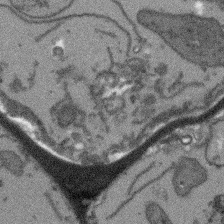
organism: Arabidopsis thaliana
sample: Root tip